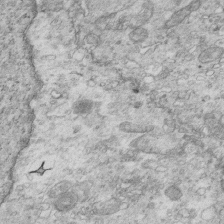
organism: Mouse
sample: Multiciliated cells